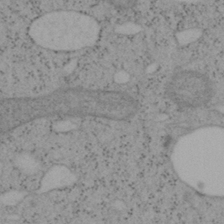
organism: Mouse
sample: OT-I killer T cells with ID8 ovarian cancer cells